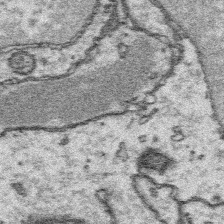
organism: Platynereis dumerilii